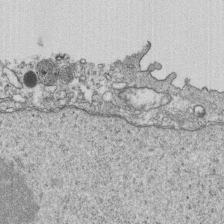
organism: Human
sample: HeLa cell HIV synapse